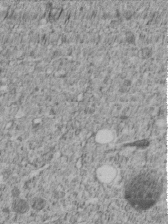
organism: C. elegans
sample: C. elegans embryo early stage